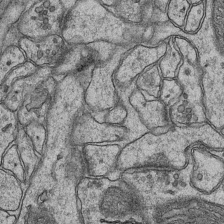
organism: Mouse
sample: CA1 Hippocampus